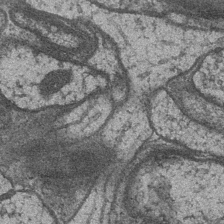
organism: Drosophila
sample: Optic medulla